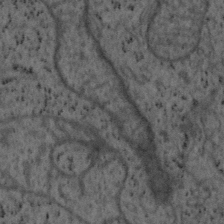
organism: Human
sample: HeLa cells